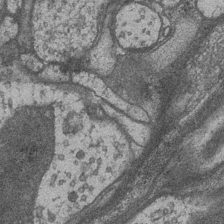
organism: Drosophila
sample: Optic medulla